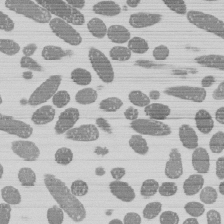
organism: E. coli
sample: Bacterial nucleoid